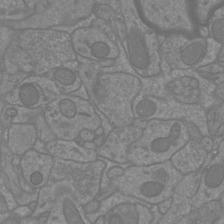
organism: Mouse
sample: Cortical neurons